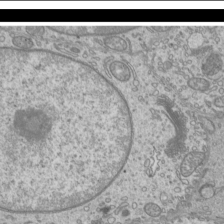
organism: Mouse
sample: Cilia; mouse epididymis